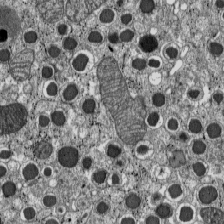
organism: C57BL Mouse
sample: Pancreatic islet